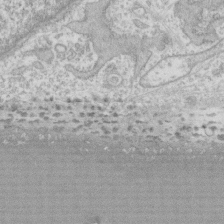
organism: Human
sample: CRL-1474